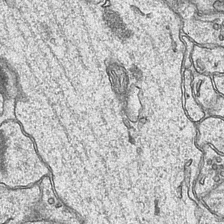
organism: Mouse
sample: CA1 Hippocampus